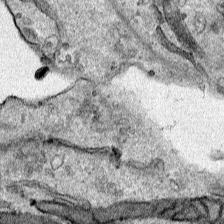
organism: Human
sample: Mitochondria in HCT116 cells